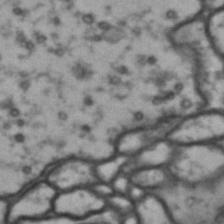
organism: Drosophila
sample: Brain